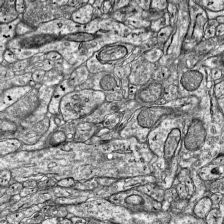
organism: Mouse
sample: Visual Cortex